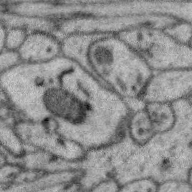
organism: Zebra finch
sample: Brain